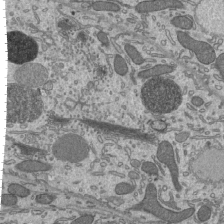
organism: Mouse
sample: Mouse epididymis efferent ductule cilia